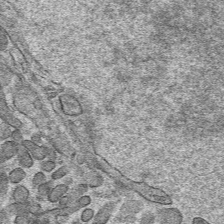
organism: Mouse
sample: Mouse hepatocytes